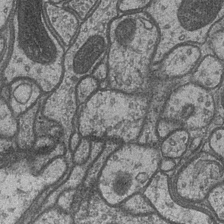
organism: Drosophila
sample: Optic medulla